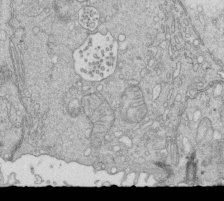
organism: Mouse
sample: Multiciliated cells